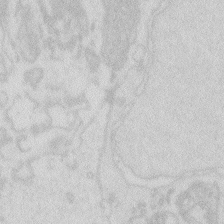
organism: Zebrafish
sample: Macrophage